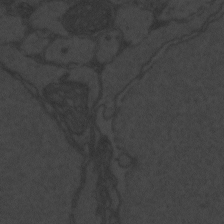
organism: Zebrafish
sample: Macrophage infected with Toxoplasma gondii